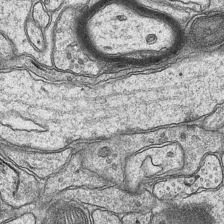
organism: Mouse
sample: CA1 Hippocampus